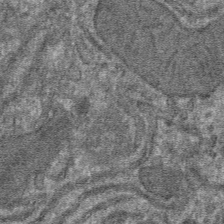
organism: Mouse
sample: Mouse hepatocytes